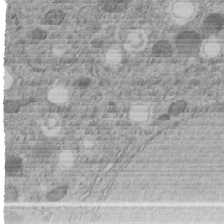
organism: C. elegans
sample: C. elegans embryo early stage